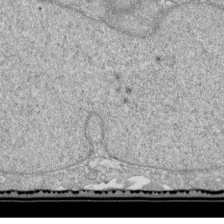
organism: Human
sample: HeLa cell HIV synapse